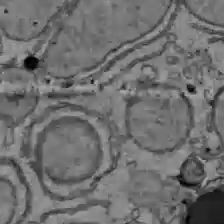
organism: C57BL Mouse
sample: Liver